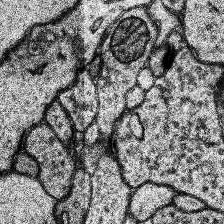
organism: Human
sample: Temporal Lobe